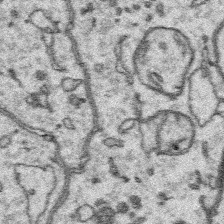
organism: Platynereis dumerilii